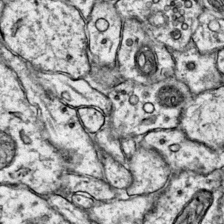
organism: Mouse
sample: Primary visual cortex